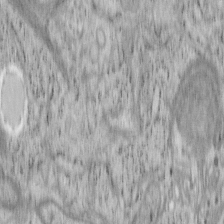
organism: Human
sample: HeLa cells